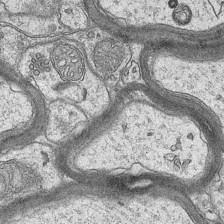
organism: Mouse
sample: CA1 Hippocampus